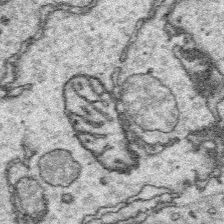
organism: Platynereis dumerilii